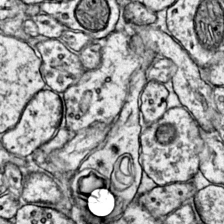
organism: Mouse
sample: Primary visual cortex